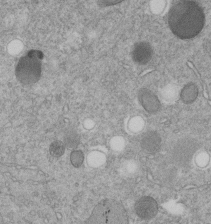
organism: C. elegans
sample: C. elegans embryo early stage